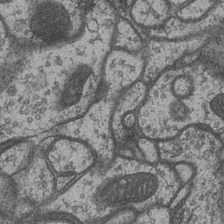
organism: Drosophila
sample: Optic medulla